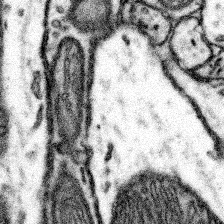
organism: Mouse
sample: Somatosensory cortex neuropil